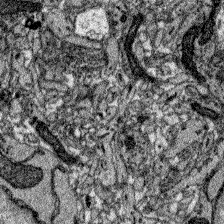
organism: Zebrafish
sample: Larval olfactory bulb